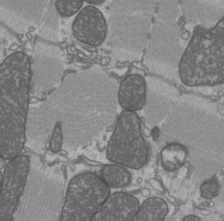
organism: C57BL Mouse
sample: Heart